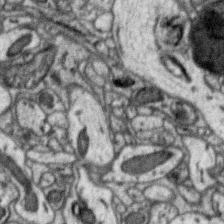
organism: Zebra finch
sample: Brain